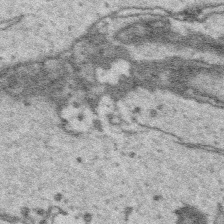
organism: Platynereis dumerilii